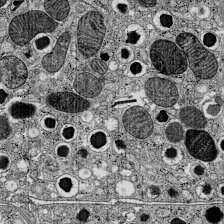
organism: C57BL Mouse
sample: Pancreatic islet